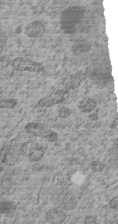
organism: C. elegans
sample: C. elegans embryo early stage